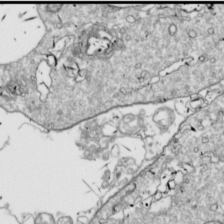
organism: Drosophila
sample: Cell division; meiosis; drosophila spermatocytes